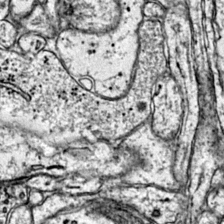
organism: Mouse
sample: Primary visual cortex